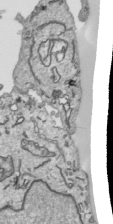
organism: Human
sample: Mitochondria in HCT116 cells